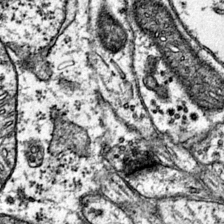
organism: Mouse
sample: Primary visual cortex